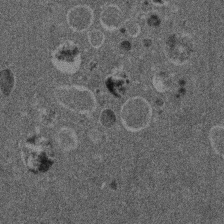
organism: Mouse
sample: Dividing mouse embryo 1 cell stage